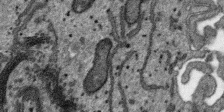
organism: Human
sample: Lung epithelial cells, uninfected (mock) control